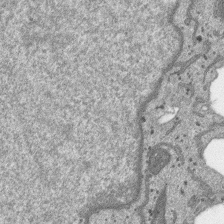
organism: Human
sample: Lung epithelial cells infected with SARS-CoV-2